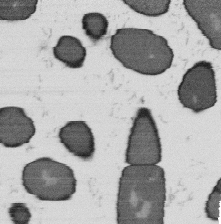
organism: B. subtilis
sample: Bacterial spore